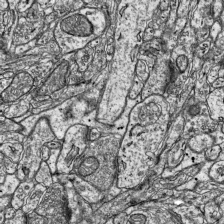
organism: Mouse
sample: Visual Cortex